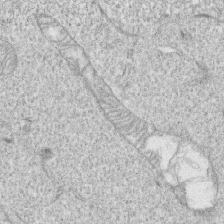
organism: Human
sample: HeLa cell HIV synapse